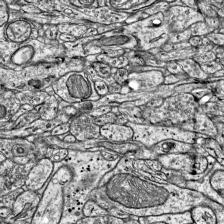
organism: Mouse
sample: Visual Cortex